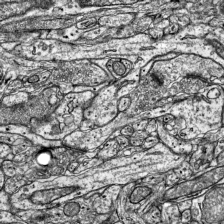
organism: Mouse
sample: Visual Cortex